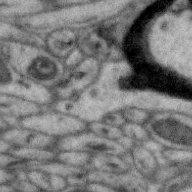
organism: Zebra finch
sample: Brain